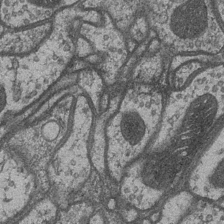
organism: Drosophila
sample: Optic medulla